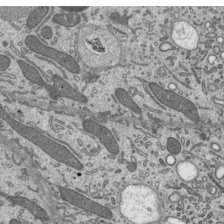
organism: Mouse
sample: Mouse epididymis efferent ductule cilia